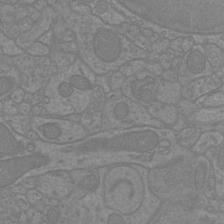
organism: Mouse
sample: Cortical neurons